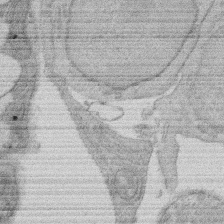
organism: Rat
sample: Salivary granule